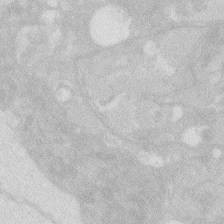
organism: Zebrafish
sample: Macrophage